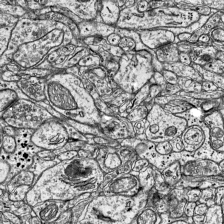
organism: Mouse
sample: Visual Cortex